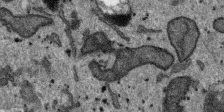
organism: Human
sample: Lung epithelial cells, uninfected (mock) control